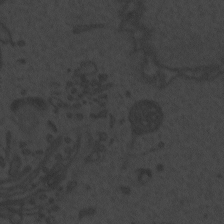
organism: Zebrafish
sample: Macrophage infected with Toxoplasma gondii